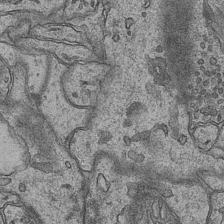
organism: Mouse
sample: CA1 Hippocampus